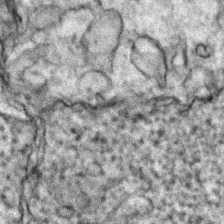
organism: Zebrafish